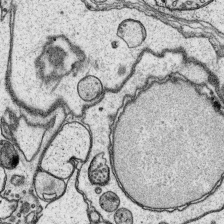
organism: Platynereis dumerilii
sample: Parapodia